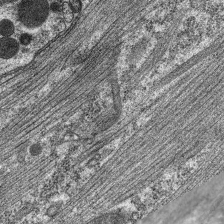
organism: C. elegans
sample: Pharynx